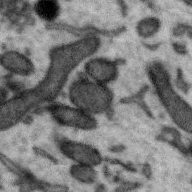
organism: Zebra finch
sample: Brain